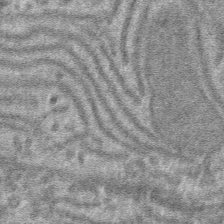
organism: Mouse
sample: Mouse hepatocytes